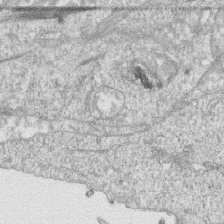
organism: Human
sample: HeLa cell HIV synapse